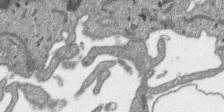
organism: Human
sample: Lung epithelial cells infected with SARS-CoV-2